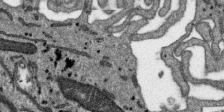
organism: Human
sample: Lung epithelial cells, uninfected (mock) control